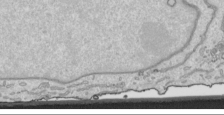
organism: Human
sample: Mitochondria in HCT116 cells